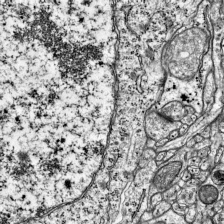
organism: Mouse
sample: Visual Cortex